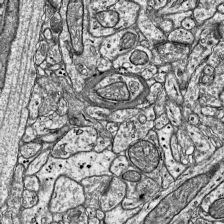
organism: Mouse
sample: Visual Cortex